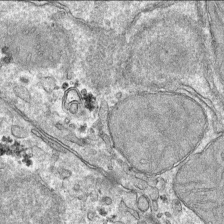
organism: Mouse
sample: Mouse hepatocytes